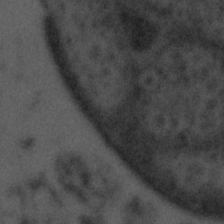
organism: Tuwongella immobilis